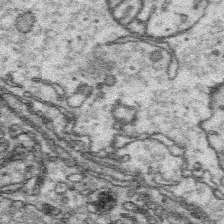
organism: Platynereis dumerilii